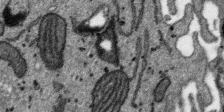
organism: Human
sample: Lung epithelial cells, uninfected (mock) control